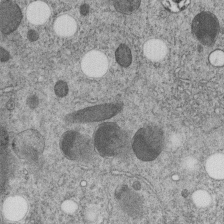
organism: C. elegans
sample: C. elegans embryo early stage